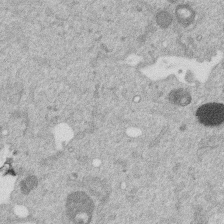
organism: Mouse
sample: Dividing mouse embryo 1 cell stage